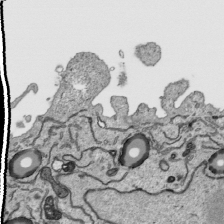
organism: Human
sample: Mitochondria in HCT116 cells